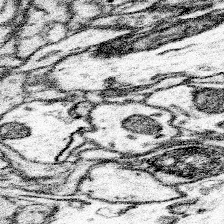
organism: Mouse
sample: Somatosensory cortex neuropil